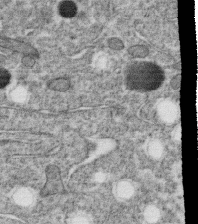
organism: C. elegans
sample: C. elegans oocyte; sperm cells